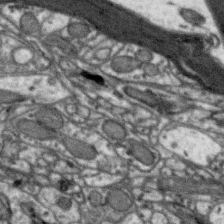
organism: Zebra finch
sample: Brain